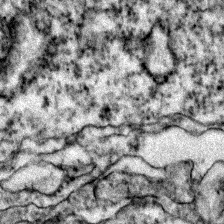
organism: Zebrafish